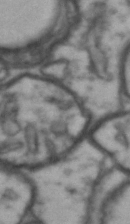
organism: Drosophila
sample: Brain